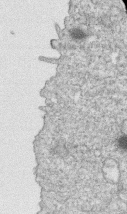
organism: Human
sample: HeLa cell HIV synapse